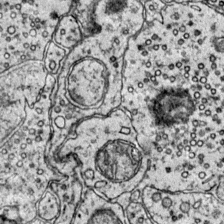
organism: Mouse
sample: Primary visual cortex